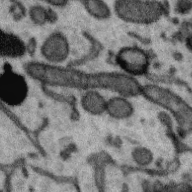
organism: Zebra finch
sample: Brain